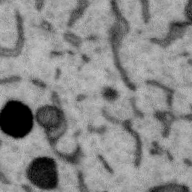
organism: Zebra finch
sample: Brain